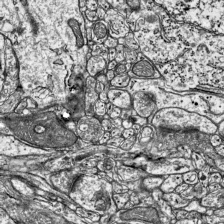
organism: Mouse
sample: Visual Cortex